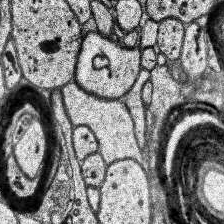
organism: Human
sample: Temporal Lobe